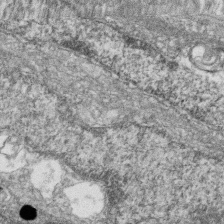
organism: Zebrafish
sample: Cilia; retinal pigment epithelium